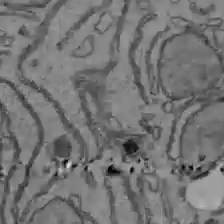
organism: C57BL Mouse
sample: Liver